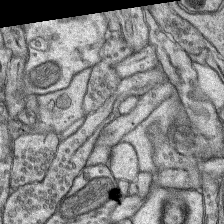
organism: Rat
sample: Hippocampus